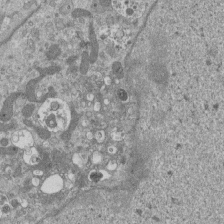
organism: Mouse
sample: ED-1 cell nuclei; centrioles